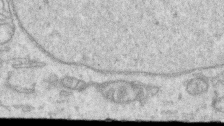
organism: Human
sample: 1205lu cells